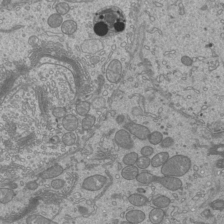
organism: Mouse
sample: Cilia; mouse epididymis